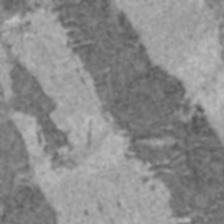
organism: C57BL Mouse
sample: Heart